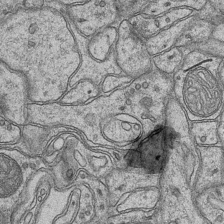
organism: Mouse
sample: CA1 Hippocampus